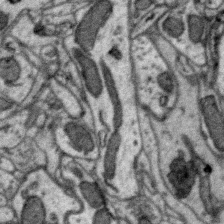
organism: Zebra finch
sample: Brain